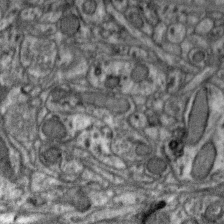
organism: Zebra finch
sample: Brain